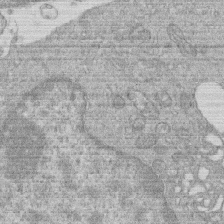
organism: Human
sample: Macrophage cells